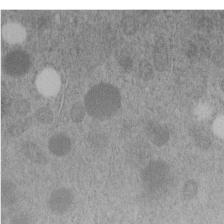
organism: C. elegans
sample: C. elegans embryo early stage